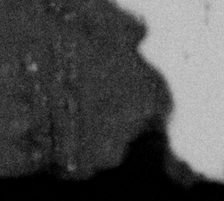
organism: Gemmata obscuriglobus